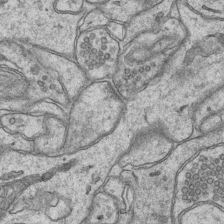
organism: Mouse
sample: CA1 Hippocampus